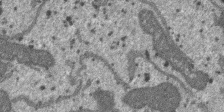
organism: Human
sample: Lung epithelial cells infected with SARS-CoV-2